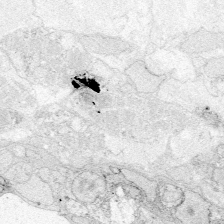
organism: Zebrafish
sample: Whole-Brain